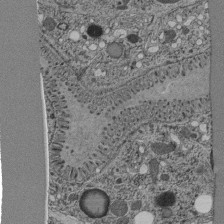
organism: C. elegans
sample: C. elegans pharynx